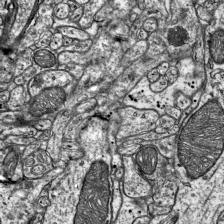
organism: Mouse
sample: Visual Cortex